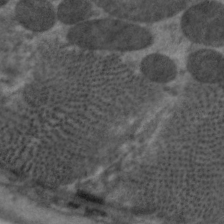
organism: C. elegans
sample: Pharynx